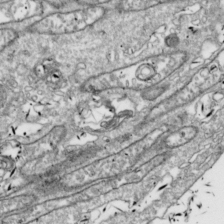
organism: Drosophila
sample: Cell division; meiosis; drosophila spermatocytes